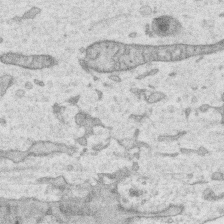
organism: Human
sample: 1205lu cells